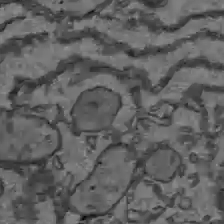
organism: C57BL Mouse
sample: Liver